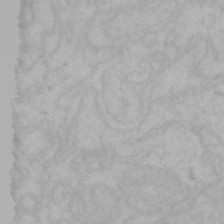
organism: Mouse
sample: Choroid plexus